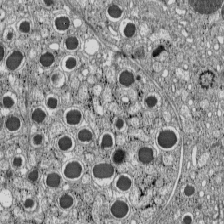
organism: C57BL Mouse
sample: Pancreatic islet